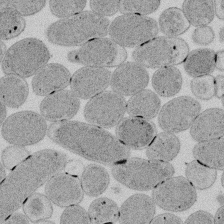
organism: E. coli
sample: Bacterial nucleoid